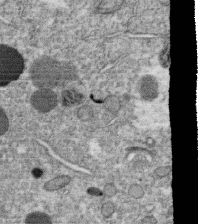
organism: C. elegans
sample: C. elegans oocyte; sperm cells